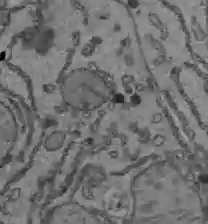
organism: C57BL Mouse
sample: Liver